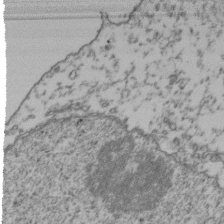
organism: Human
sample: Activated Jurkat CD4+ T cells